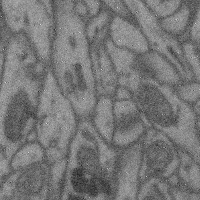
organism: Mouse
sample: Cerebral cortex